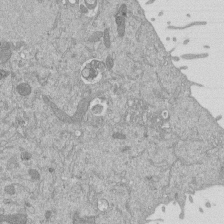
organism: Mouse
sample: ED-1 cell nuclei; centrioles